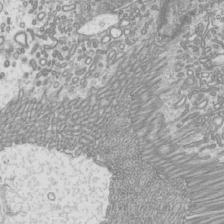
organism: Mouse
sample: Cilia; mouse epididymis